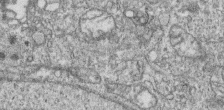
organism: Human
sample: HeLa cell HIV synapse